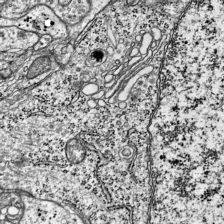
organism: Mouse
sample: Visual Cortex